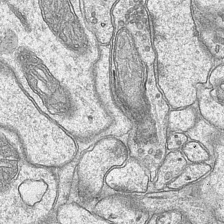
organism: Mouse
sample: CA1 Hippocampus